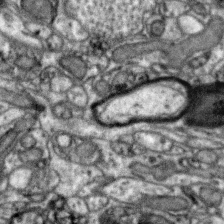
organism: Zebra finch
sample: Brain